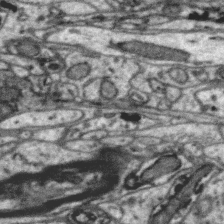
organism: Zebra finch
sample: Brain